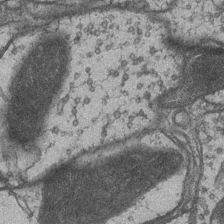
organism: Drosophila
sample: Optic medulla